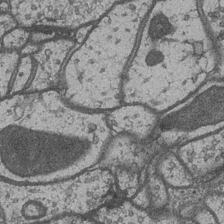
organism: Drosophila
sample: Optic medulla